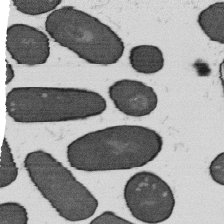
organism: B. subtilis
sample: Bacterial spore